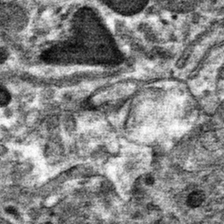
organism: Mouse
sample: Mouse hepatocytes